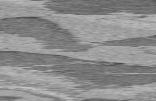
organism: C57BL Mouse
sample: Heart